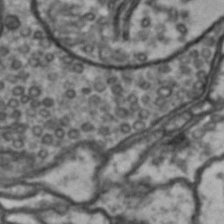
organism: Drosophila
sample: Brain